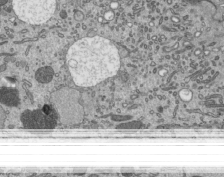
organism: Mouse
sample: Mouse epididymis efferent ductule cilia